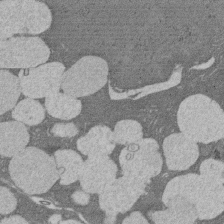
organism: Rat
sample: Salivary granule